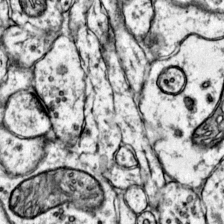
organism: Mouse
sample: Primary visual cortex